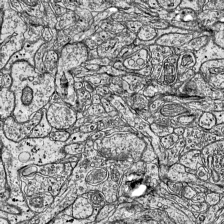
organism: Mouse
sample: Visual Cortex